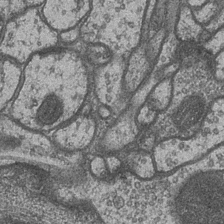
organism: Drosophila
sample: Optic medulla